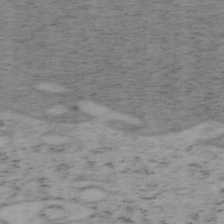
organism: Mouse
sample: OT-I killer T cells with ID8 ovarian cancer cells